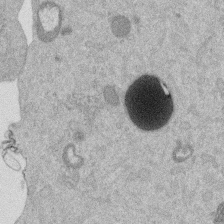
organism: Mouse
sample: Dividing mouse embryo 1 cell stage